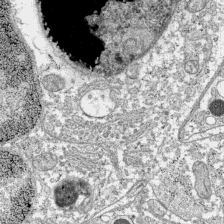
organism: C57BL Mouse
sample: Pancreatic islet